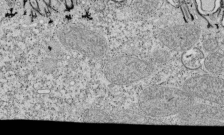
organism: Tetrahymena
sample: Cilia in tetrahymena